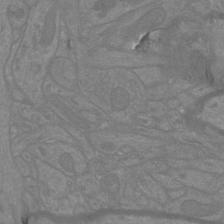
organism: Mouse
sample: Cortical neurons